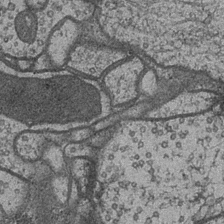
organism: Drosophila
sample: Optic medulla